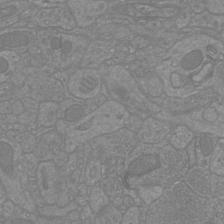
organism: Mouse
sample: Cortical neurons